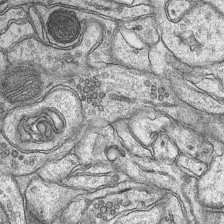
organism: Mouse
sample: CA1 Hippocampus